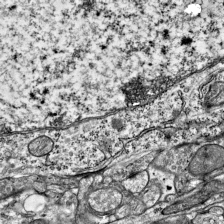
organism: Mouse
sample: Visual Cortex